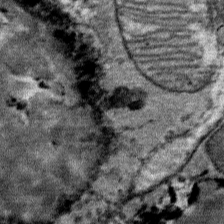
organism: Mouse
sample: Mouse Salivary gland